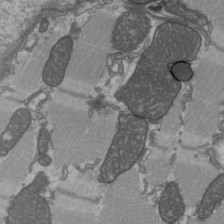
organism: C57BL Mouse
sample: Heart